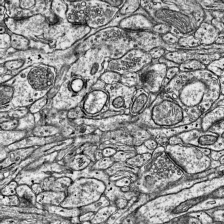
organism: Mouse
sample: Visual Cortex